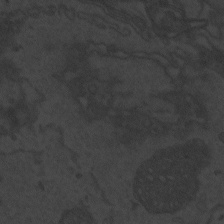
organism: Zebrafish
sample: Macrophage infected with Toxoplasma gondii